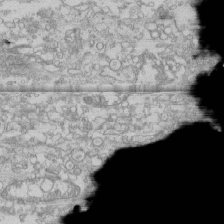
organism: Human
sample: CRL-1474